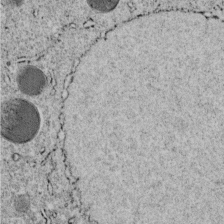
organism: C. elegans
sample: C. elegans embryo early stage